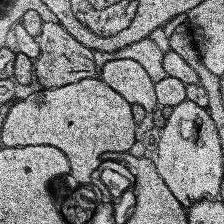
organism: Human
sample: Temporal Lobe